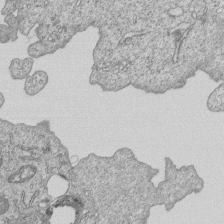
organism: Human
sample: MDA-MB-231 cells